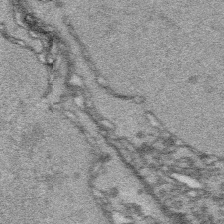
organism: Platynereis dumerilii